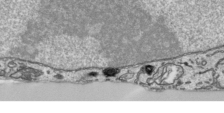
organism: Human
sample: Mitochondria in HCT116 cells